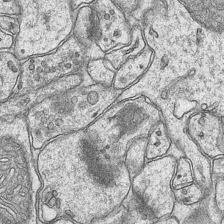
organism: Mouse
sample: CA1 Hippocampus